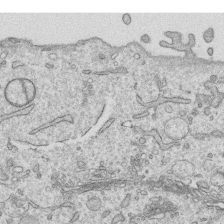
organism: Human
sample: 1205lu cells